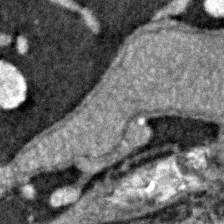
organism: Zebrafish